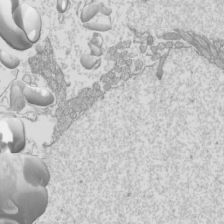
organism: Mouse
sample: Cilia; mouse epididymis